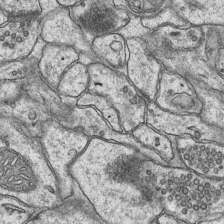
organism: Mouse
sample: CA1 Hippocampus